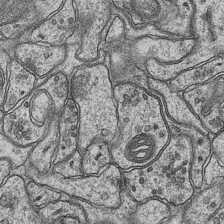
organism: Mouse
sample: CA1 Hippocampus